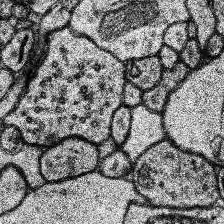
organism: Human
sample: Temporal Lobe